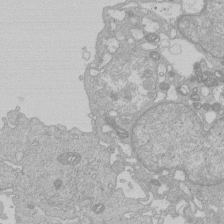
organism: Human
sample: Macrophage cells